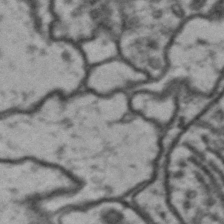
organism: Drosophila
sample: Brain